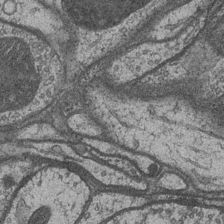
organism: Drosophila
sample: Optic medulla